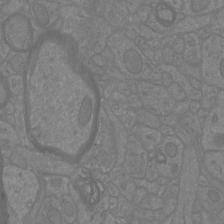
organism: Mouse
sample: Cortical neurons